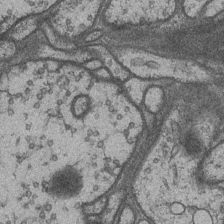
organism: Drosophila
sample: Optic medulla